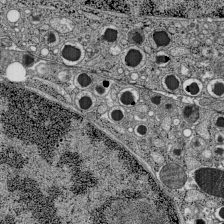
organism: C57BL Mouse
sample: Pancreatic islet